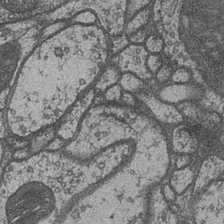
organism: Drosophila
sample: Optic medulla